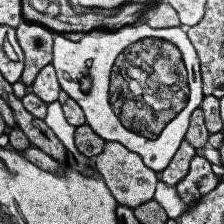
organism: Human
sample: Temporal Lobe